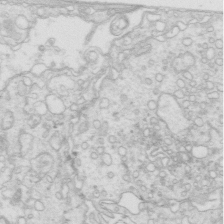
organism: Mouse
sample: Multiciliated cells